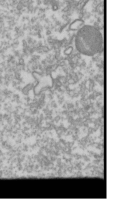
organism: Drosophila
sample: Cell division; meiosis; drosophila spermatocytes